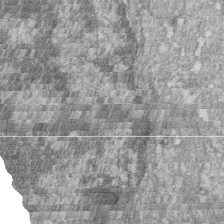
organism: Zebrafish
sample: Cilia; retinal pigment epithelium